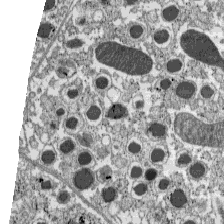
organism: C57BL Mouse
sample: Pancreatic islet